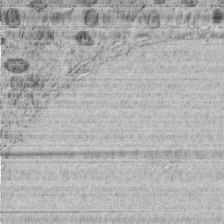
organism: C. elegans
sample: C. elegans embryo early stage